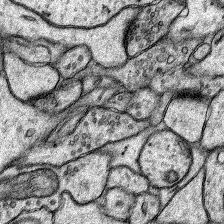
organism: Rat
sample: Hippocampus